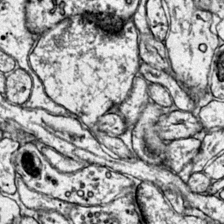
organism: Mouse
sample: Primary visual cortex